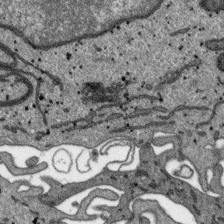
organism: Human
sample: Lung epithelial cells, uninfected (mock) control